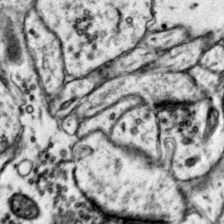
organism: Mouse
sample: Primary visual cortex